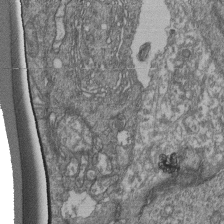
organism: Human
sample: Retinal organoid Rod and Cone cells